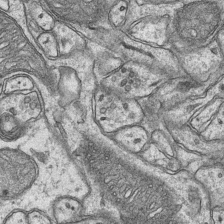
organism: Mouse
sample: CA1 Hippocampus